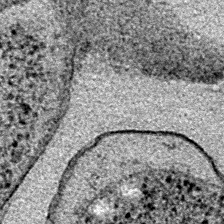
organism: E. coli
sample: E. Coli Bacteria